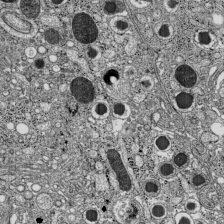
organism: C57BL Mouse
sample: Pancreatic islet